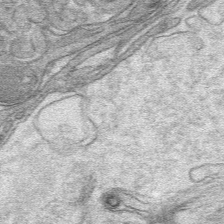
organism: Mouse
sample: Mouse hepatocytes